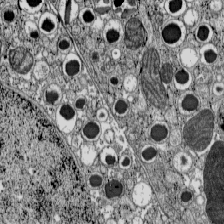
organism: C57BL Mouse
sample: Pancreatic islet